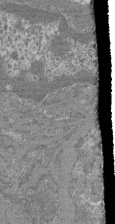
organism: Mouse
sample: Glomerulus